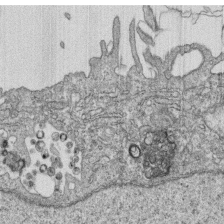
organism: Human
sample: HeLa cell HIV synapse